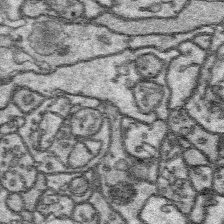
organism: Platynereis dumerilii